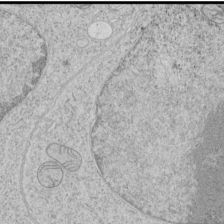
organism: Human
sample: Mitochondria in HCT116 cells